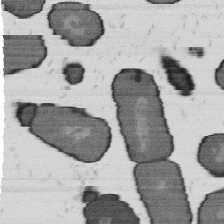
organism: B. subtilis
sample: Bacterial spore